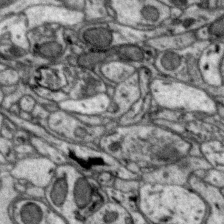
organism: Zebra finch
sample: Brain